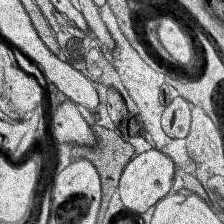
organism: Human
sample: Temporal Lobe